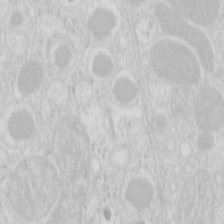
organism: Mouse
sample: Pancreas